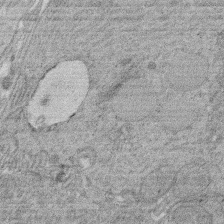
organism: Rat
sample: Salivary granule